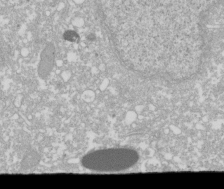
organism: Xenopus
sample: Cilia; centrioles in frog embryo cells